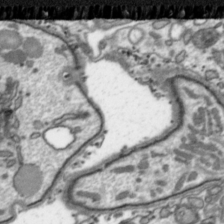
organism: Toxoplasma gondii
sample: Parasites in a vacuole inside a host cell